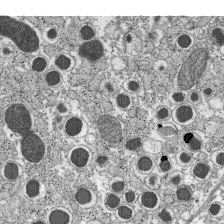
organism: C57BL Mouse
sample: Pancreatic islet